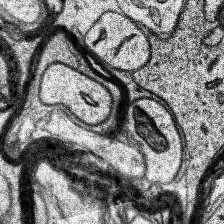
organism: Human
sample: Temporal Lobe